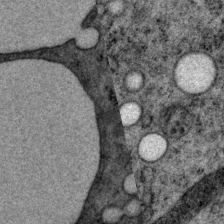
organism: P. pacificus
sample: Pharynx